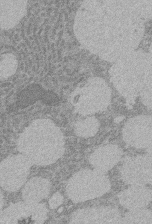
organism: Rat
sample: Salivary granule